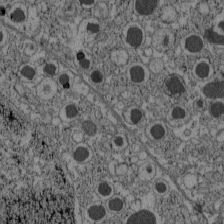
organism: C57BL Mouse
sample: Pancreatic islet